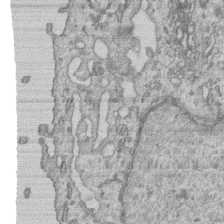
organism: Human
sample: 1205lu cells